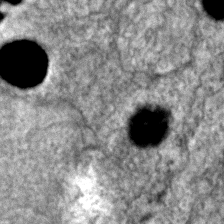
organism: Zebrafish